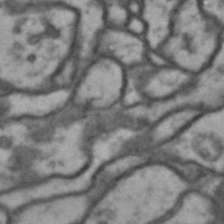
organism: Drosophila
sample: Brain